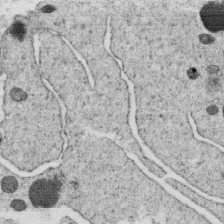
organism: C. elegans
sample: C. elegans oocyte; sperm cells